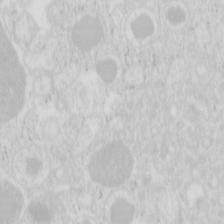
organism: Mouse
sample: Pancreas